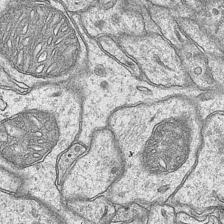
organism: Mouse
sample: CA1 Hippocampus